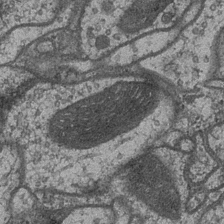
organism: Drosophila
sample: Optic medulla